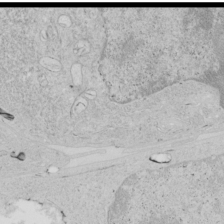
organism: Human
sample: Mitochondria in HCT116 cells